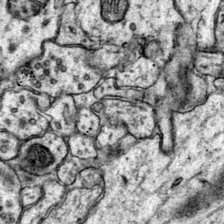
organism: Mouse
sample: Primary visual cortex